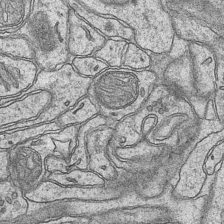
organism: Mouse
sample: CA1 Hippocampus